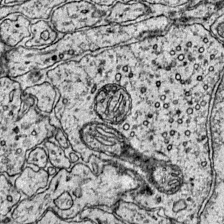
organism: Mouse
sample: Primary visual cortex